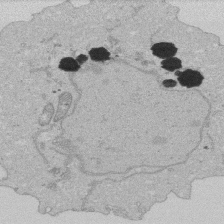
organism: Human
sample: Activated Jurkat CD4+ T cells